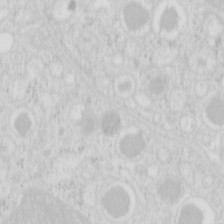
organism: Mouse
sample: Pancreas